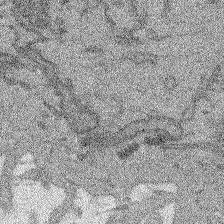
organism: Human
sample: HeLa cells